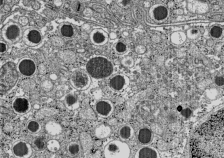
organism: C57BL Mouse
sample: Pancreatic islet